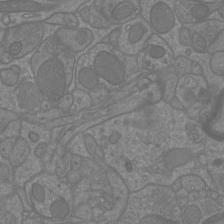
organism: Mouse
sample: Cortical neurons